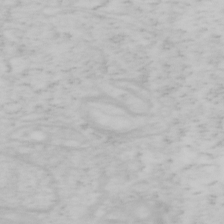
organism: Mouse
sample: OT-I killer T cells with ID8 ovarian cancer cells